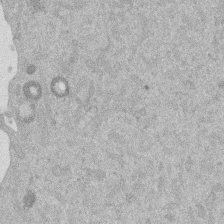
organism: Mouse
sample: Dividing mouse embryo 1 cell stage